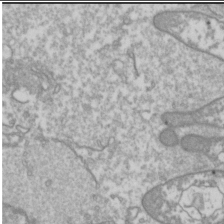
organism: Drosophila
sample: Cell division; meiosis; drosophila spermatocytes